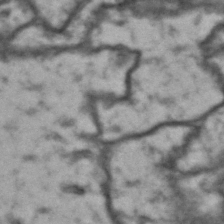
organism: Drosophila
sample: Brain